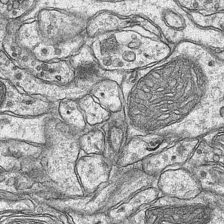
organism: Mouse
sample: CA1 Hippocampus